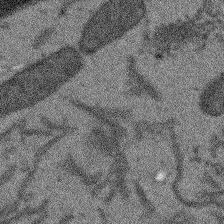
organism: Arabidopsis thaliana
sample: Root tip